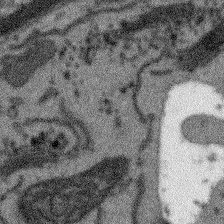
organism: Arabidopsis thaliana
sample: Root tip